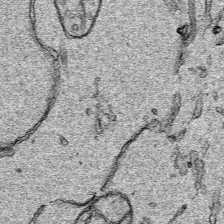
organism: Human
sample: Mitochondria in HCT116 cells